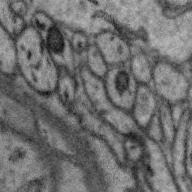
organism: Zebra finch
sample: Brain